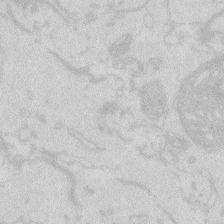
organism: Zebrafish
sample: Macrophage